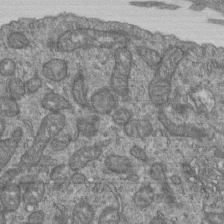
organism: Human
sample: Retinal organoid Rod and Cone cells